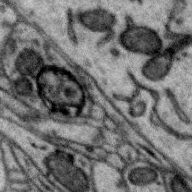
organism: Zebra finch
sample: Brain